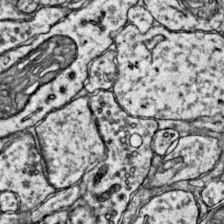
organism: Mouse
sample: Primary visual cortex